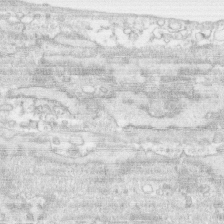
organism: Human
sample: CRL-1474